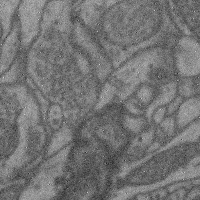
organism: Mouse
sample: Cerebral cortex